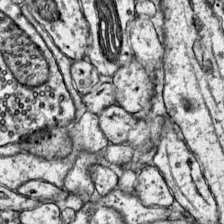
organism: Mouse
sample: Primary visual cortex